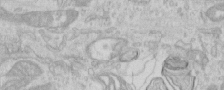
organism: Human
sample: Centriole in RPE cells